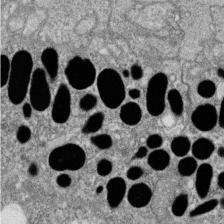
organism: Zebrafish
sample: Cilia; retinal pigment epithelium